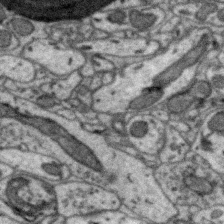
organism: Zebra finch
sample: Brain